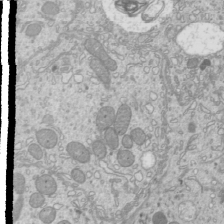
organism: Mouse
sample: Cilia; mouse epididymis